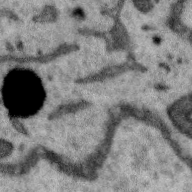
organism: Zebra finch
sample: Brain